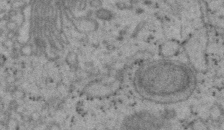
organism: Human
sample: HeLa cells